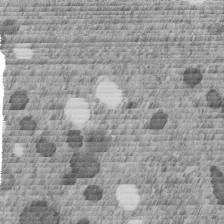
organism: C. elegans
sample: C. elegans embryo early stage